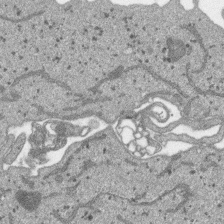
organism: Human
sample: Lung epithelial cells infected with SARS-CoV-2